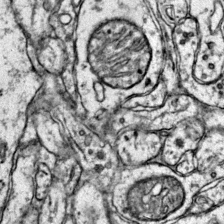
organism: Mouse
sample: Primary visual cortex